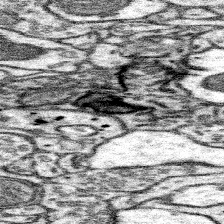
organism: Mouse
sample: Somatosensory cortex neuropil